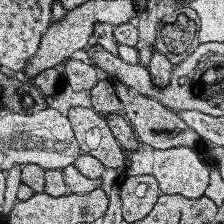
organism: Human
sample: Temporal Lobe